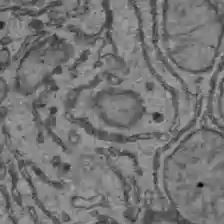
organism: C57BL Mouse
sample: Liver